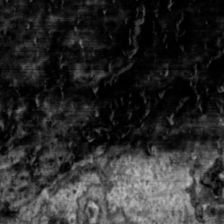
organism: Toxoplasma gondii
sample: Parasites in a vacuole inside a host cell